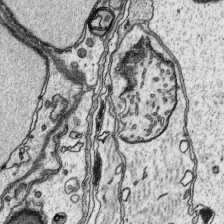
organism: Platynereis dumerilii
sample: Parapodia